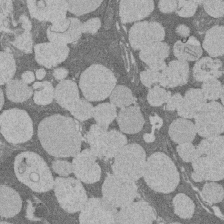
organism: Rat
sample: Salivary granule